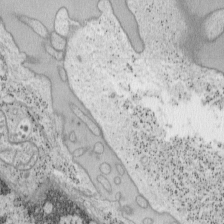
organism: Mouse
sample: OT-I killer T cells with ID8 ovarian cancer cells